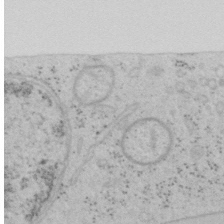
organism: Human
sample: HeLa cells